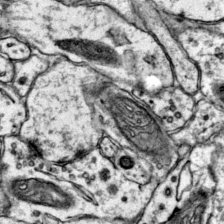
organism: Mouse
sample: Primary visual cortex